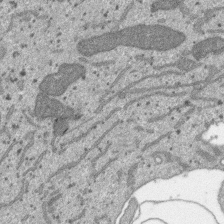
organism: Human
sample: Lung epithelial cells infected with SARS-CoV-2